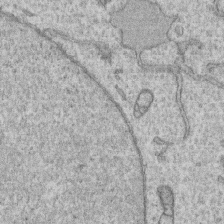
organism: Human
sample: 1205lu cells